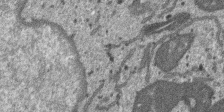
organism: Human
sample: Lung epithelial cells infected with SARS-CoV-2